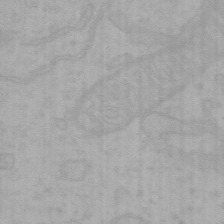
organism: Mouse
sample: Choroid plexus